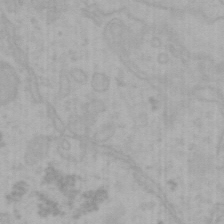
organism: Mouse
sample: Choroid plexus